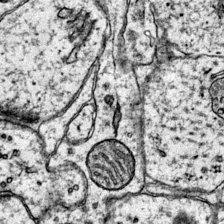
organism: Mouse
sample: Primary visual cortex